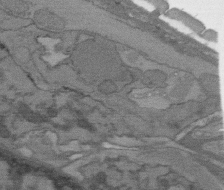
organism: C. elegans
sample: AFD neurons C. elegans